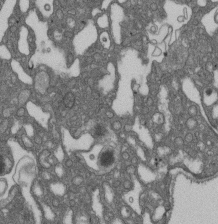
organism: Drosophila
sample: Nephrocyte